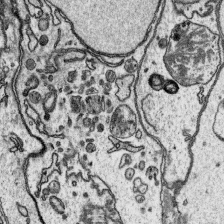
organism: Platynereis dumerilii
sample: Parapodia